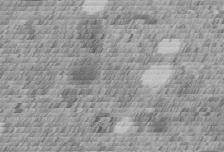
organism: C. elegans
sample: C. elegans embryo early stage